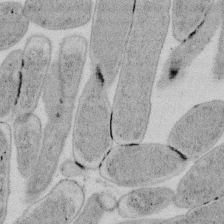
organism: E. coli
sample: Bacterial nucleoid